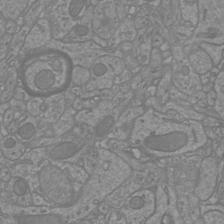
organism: Mouse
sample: Cortical neurons